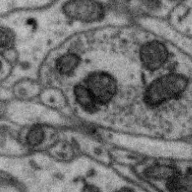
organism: Zebra finch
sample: Brain